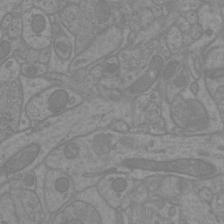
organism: Mouse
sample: Cortical neurons